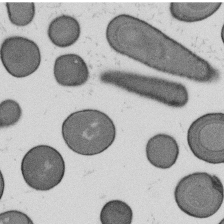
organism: B. subtilis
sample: Bacterial spore